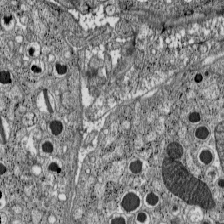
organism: C57BL Mouse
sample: Pancreatic islet